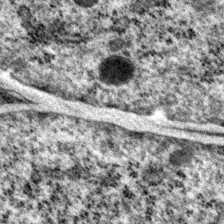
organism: P. pacificus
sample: Pharynx